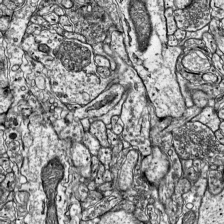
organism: Mouse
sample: Visual Cortex